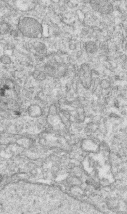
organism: Human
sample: HeLa cell HIV synapse